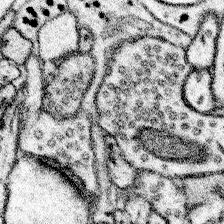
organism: Mouse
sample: Somatosensory cortex neuropil